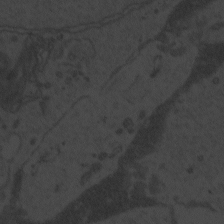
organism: Zebrafish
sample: Macrophage infected with Toxoplasma gondii